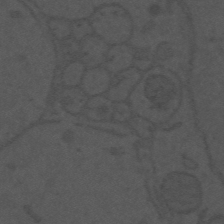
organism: Mouse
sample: Suprachiasmatic nucleus